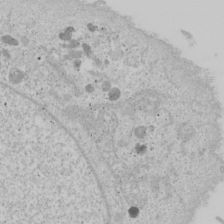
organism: Human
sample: Mitochondria in U2OS cells